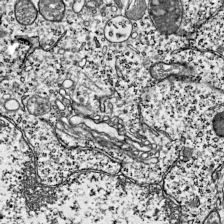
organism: Mouse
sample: Visual Cortex